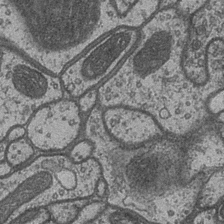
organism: Drosophila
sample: Optic medulla